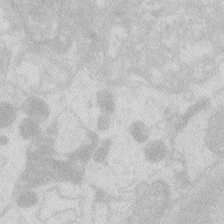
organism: Zebrafish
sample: Macrophage